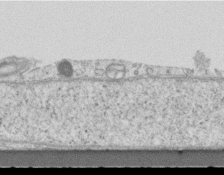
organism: Mouse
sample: Centriole in ependymal cells